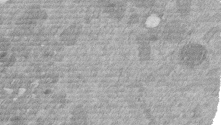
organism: Mouse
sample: Dividing mouse embryo 1 cell stage